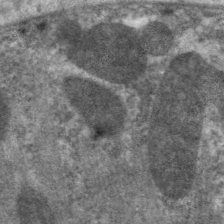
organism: C. elegans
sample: Pharynx